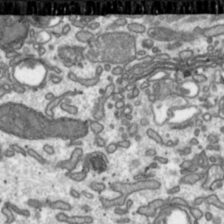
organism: Toxoplasma gondii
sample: Parasites in a vacuole inside a host cell